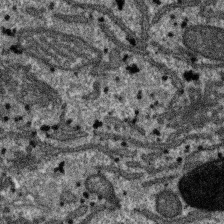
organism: Human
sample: Lung epithelial cells infected with SARS-CoV-2